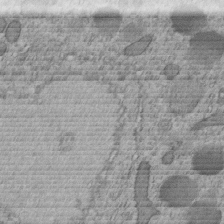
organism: C. elegans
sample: C. elegans embryo early stage